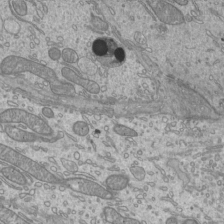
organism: Mouse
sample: Cilia; mouse epididymis